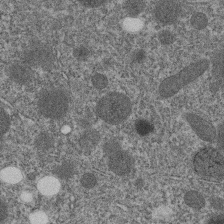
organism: C. elegans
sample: C. elegans embryo early stage